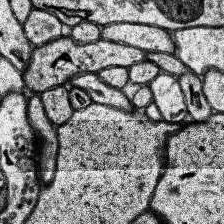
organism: Human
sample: Temporal Lobe